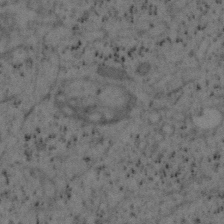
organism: Human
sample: HeLa cells